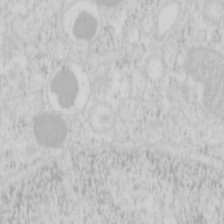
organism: Mouse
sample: Pancreas